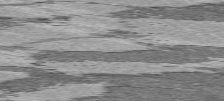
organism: C57BL Mouse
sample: Heart